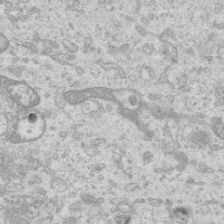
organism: Mouse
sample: Centriole in ependymal cells